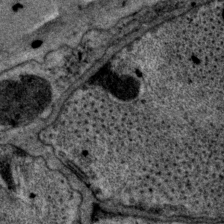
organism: P. pacificus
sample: Pharynx